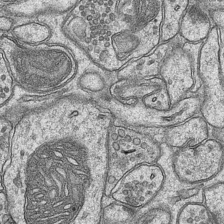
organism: Mouse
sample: CA1 Hippocampus